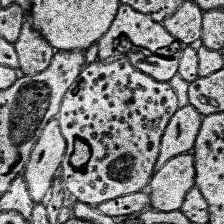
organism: Human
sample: Temporal Lobe